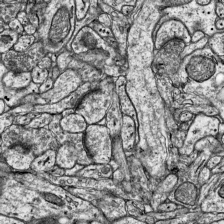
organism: Mouse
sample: Visual Cortex